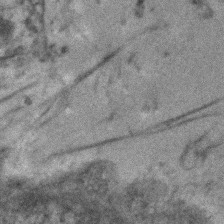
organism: Human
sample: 1205lu cells